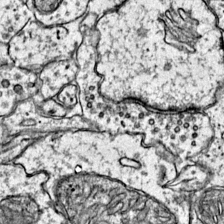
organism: Mouse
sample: Primary visual cortex